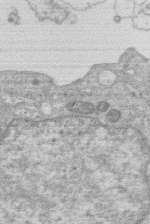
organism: Human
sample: Macrophage cells